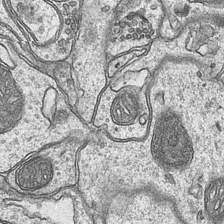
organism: Mouse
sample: CA1 Hippocampus